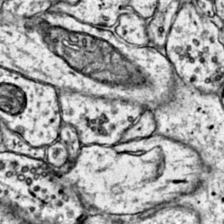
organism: Mouse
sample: Primary visual cortex